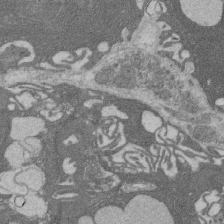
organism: Rat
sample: Salivary granule